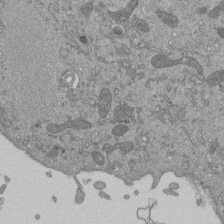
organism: Mouse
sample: ED-1 cell nuclei; centrioles